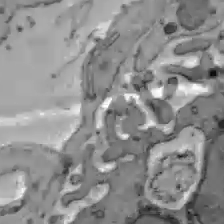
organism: C57BL Mouse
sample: Liver